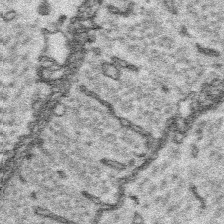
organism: Platynereis dumerilii